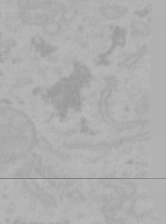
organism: Mouse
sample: Choroid plexus